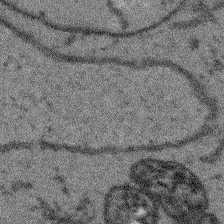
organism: Arabidopsis thaliana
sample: Root tip